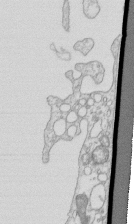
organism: Mouse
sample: Macrophages